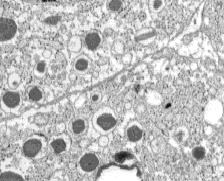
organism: C57BL Mouse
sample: Pancreatic islet